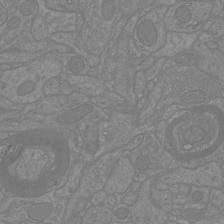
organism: Mouse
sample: Cortical neurons